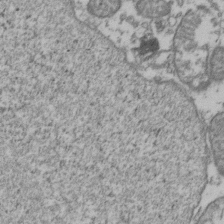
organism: Human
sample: Activated Jurkat CD4+ T cells